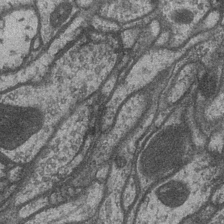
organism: Drosophila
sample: Optic medulla